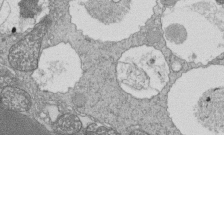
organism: Tetrahymena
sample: Cilia in tetrahymena